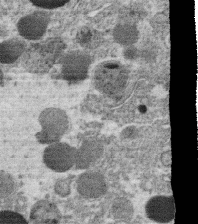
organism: C. elegans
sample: C. elegans oocyte; sperm cells